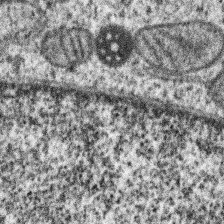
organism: Human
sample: HeLa cells